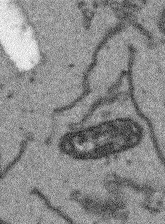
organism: Arabidopsis thaliana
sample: Root tip